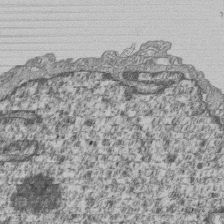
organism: Human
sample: MDA-MB-231 cells